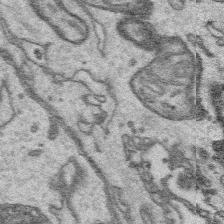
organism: Platynereis dumerilii